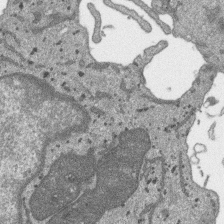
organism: Human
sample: Lung epithelial cells infected with SARS-CoV-2